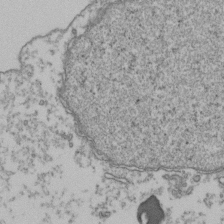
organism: Human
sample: Activated Jurkat CD4+ T cells